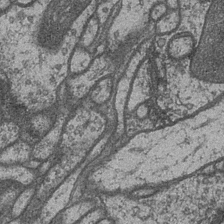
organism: Drosophila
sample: Optic medulla